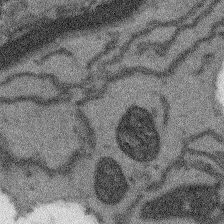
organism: Arabidopsis thaliana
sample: Root tip